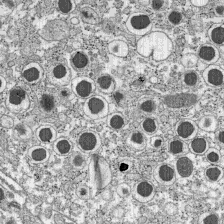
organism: C57BL Mouse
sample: Pancreatic islet